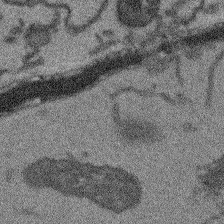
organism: Arabidopsis thaliana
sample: Root tip